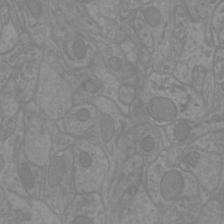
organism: Mouse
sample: Cortical neurons